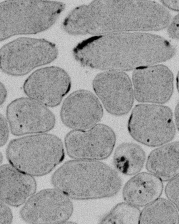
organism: E. coli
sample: Bacterial nucleoid